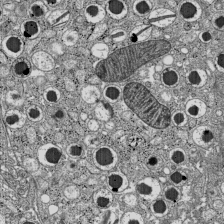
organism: C57BL Mouse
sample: Pancreatic islet